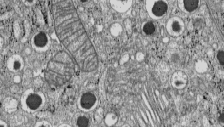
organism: C57BL Mouse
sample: Pancreatic islet